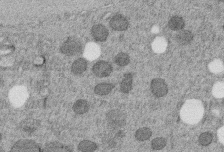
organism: C. elegans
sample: C. elegans embryo early stage